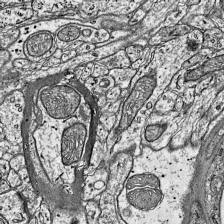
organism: Mouse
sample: Visual Cortex